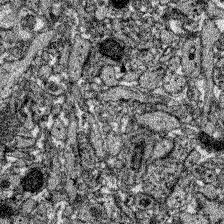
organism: Zebrafish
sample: Larval olfactory bulb